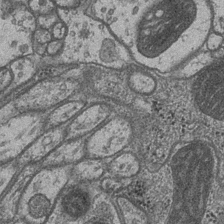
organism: Drosophila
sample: Optic medulla